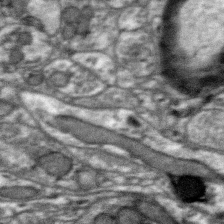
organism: Zebra finch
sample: Brain